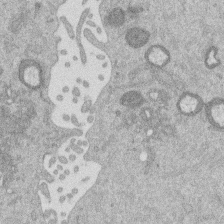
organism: Mouse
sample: Dividing mouse embryo 1 cell stage